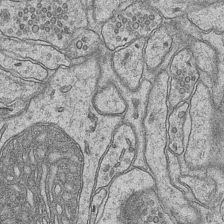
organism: Mouse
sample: CA1 Hippocampus